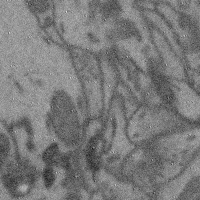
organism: Mouse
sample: Cerebral cortex